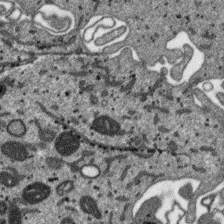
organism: Human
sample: Lung epithelial cells infected with SARS-CoV-2